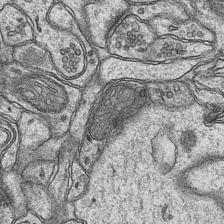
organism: Mouse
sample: CA1 Hippocampus